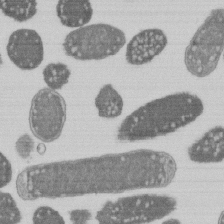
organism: E. coli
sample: Bacterial nucleoid